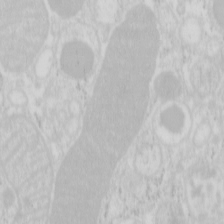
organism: Mouse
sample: Pancreas